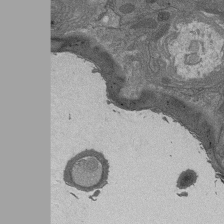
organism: Drosophila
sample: Antenna